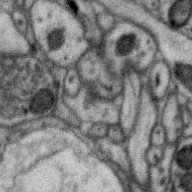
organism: Zebra finch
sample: Brain